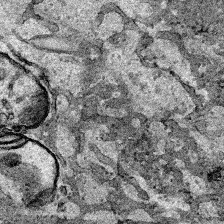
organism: Human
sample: Mitochondria in HCT116 cells